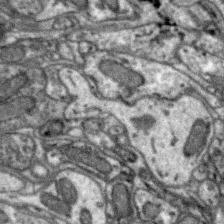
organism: Zebra finch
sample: Brain